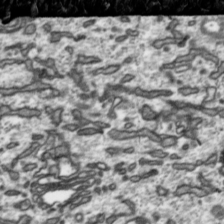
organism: Toxoplasma gondii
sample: Parasites in a vacuole inside a host cell